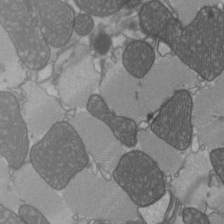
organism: C57BL Mouse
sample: Heart